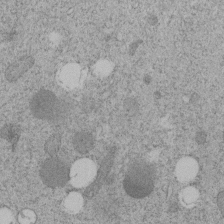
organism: C. elegans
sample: C. elegans embryo early stage